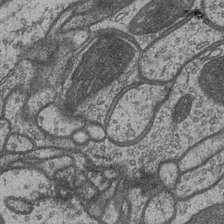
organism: Drosophila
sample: Optic medulla